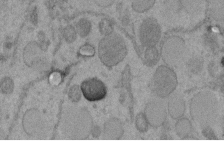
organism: C. elegans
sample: C. elegans embryo early stage